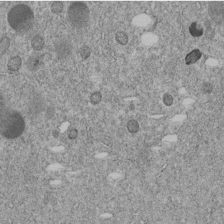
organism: C. elegans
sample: C. elegans embryo early stage